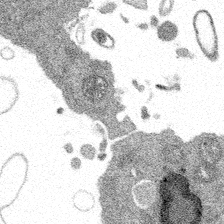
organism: Spongilla lacustris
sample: Multiple